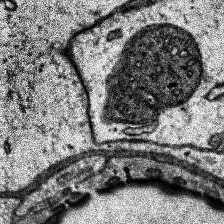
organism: Human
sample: Temporal Lobe